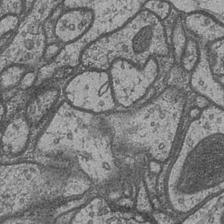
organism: Drosophila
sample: Optic medulla